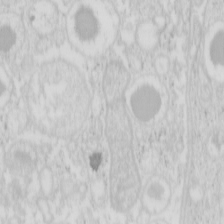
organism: Mouse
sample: Pancreas